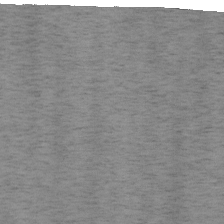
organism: Mouse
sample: OT-I killer T cells with ID8 ovarian cancer cells